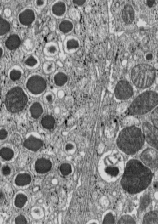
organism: C57BL Mouse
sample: Pancreatic islet